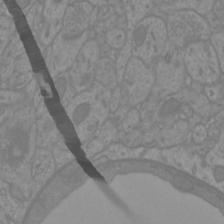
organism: Mouse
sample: Cortical neurons